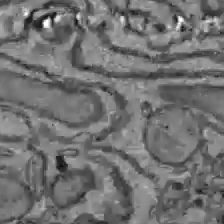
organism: C57BL Mouse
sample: Liver